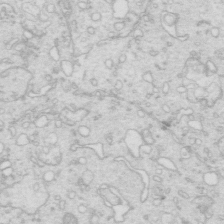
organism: Mouse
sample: Multiciliated cells